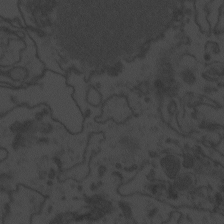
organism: Zebrafish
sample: Macrophage infected with Toxoplasma gondii